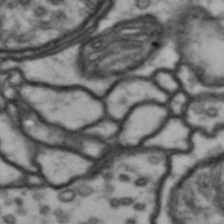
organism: Drosophila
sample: Brain